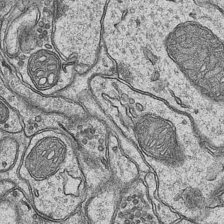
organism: Mouse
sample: CA1 Hippocampus